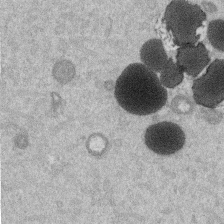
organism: Mouse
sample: Dividing mouse embryo 1 cell stage